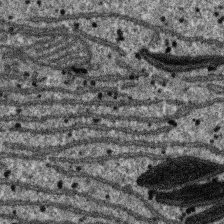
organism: Human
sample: Lung epithelial cells infected with SARS-CoV-2